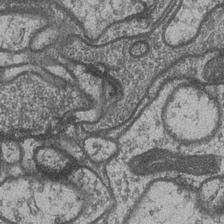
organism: Drosophila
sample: Optic medulla